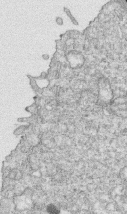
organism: Human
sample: HeLa cell HIV synapse